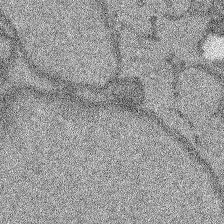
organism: Human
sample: HeLa cells